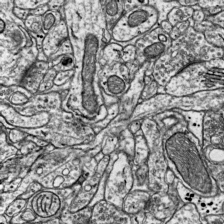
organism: Mouse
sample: Visual Cortex